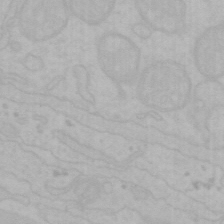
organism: Mouse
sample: Choroid plexus